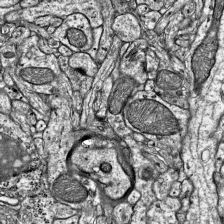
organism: Mouse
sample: Visual Cortex